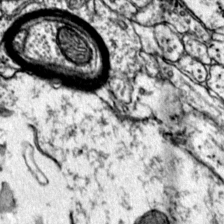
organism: Mouse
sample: Primary visual cortex